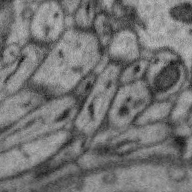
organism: Zebra finch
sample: Brain